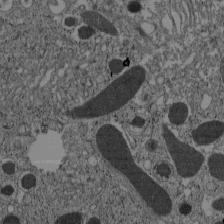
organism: C57BL Mouse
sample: Pancreatic islet